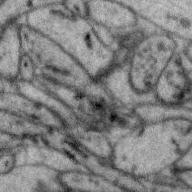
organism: Zebra finch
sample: Brain